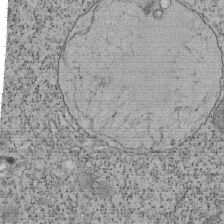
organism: Tetrahymena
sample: Cilia in tetrahymena